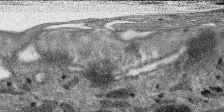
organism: Human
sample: Lung epithelial cells infected with SARS-CoV-2